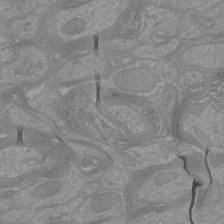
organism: Mouse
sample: Cortical neurons